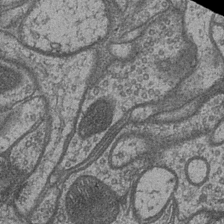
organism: Drosophila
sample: Optic medulla